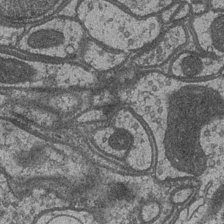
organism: Drosophila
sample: Optic medulla